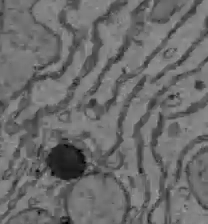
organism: C57BL Mouse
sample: Liver